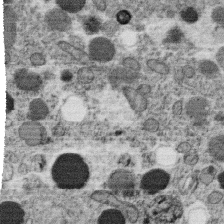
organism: C. elegans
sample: C. elegans oocyte; sperm cells